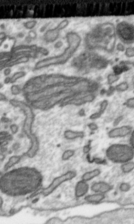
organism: Toxoplasma gondii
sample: Parasites in a vacuole inside a host cell